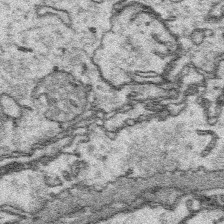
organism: Platynereis dumerilii